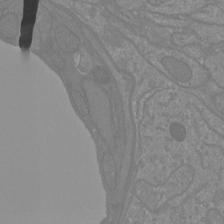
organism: Mouse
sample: Cortical neurons